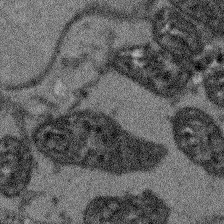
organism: Arabidopsis thaliana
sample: Root tip